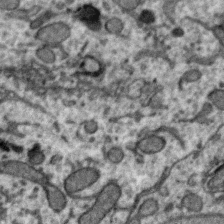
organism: Zebra finch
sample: Brain